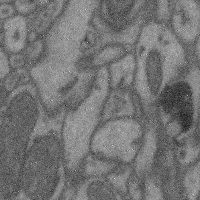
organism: Mouse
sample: Cerebral cortex